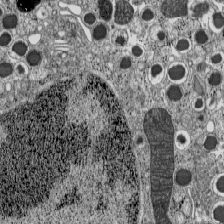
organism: C57BL Mouse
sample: Pancreatic islet